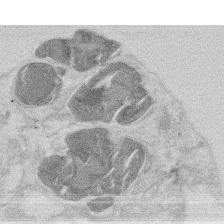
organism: Mouse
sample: T cell stromal cell synapse